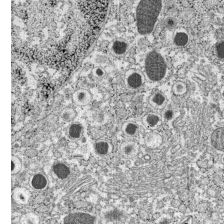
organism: C57BL Mouse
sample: Pancreatic islet